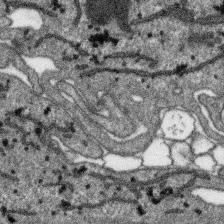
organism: Human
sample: Lung epithelial cells infected with SARS-CoV-2